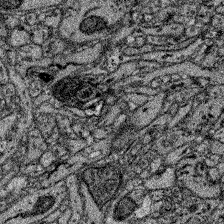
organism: Zebrafish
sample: Larval olfactory bulb